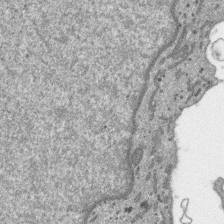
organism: Human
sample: Lung epithelial cells infected with SARS-CoV-2